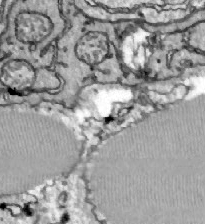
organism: Zebrafish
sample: Actinotrichia fibers